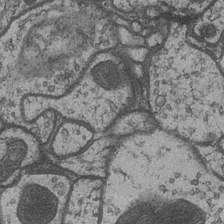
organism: Drosophila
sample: Optic medulla